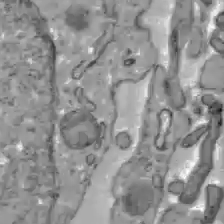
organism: C57BL Mouse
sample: Liver